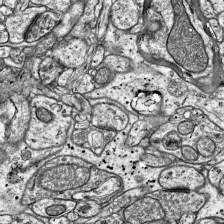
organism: Mouse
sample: Visual Cortex